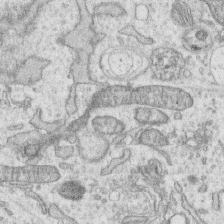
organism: Human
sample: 1205lu cells